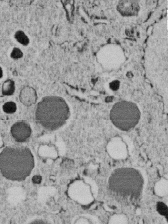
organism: C. elegans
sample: C. elegans embryo early stage